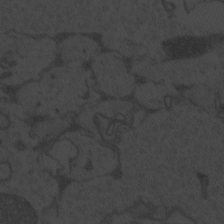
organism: Zebrafish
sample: Macrophage infected with Toxoplasma gondii